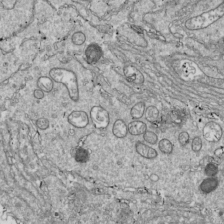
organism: Drosophila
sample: Cell division; meiosis; drosophila spermatocytes